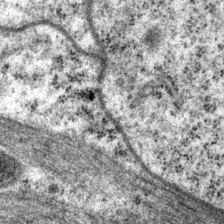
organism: P. pacificus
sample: Pharynx